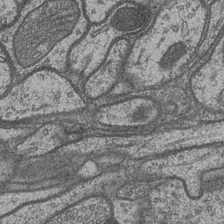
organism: Drosophila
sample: Optic medulla